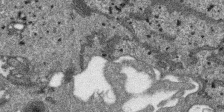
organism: Human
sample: Lung epithelial cells infected with SARS-CoV-2